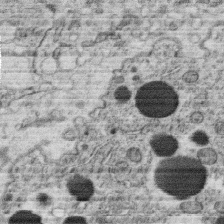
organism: C. elegans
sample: C. elegans oocyte; sperm cells